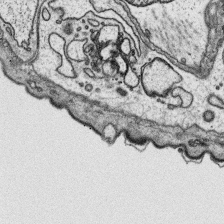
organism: Platynereis dumerilii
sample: Parapodia